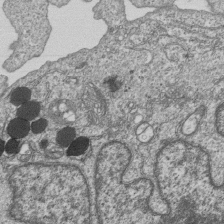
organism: Human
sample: MDA-MB-231 cells